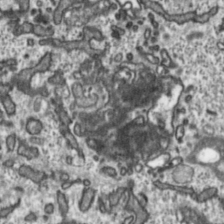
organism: Toxoplasma gondii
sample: Parasites in a vacuole inside a host cell